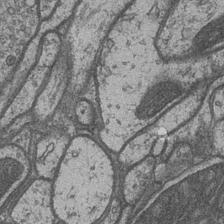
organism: Drosophila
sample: Optic medulla